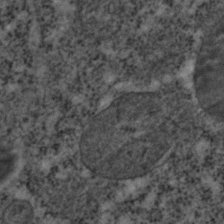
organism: C. elegans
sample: C. elegans embryo